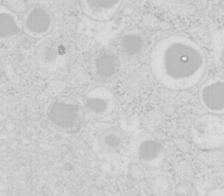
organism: Mouse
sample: Pancreas